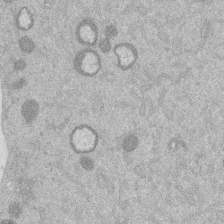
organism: Mouse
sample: Dividing mouse embryo 1 cell stage